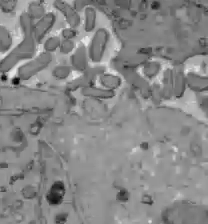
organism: C57BL Mouse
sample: Liver